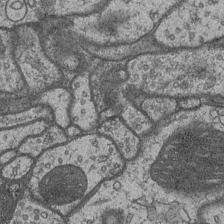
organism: Drosophila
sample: Optic medulla